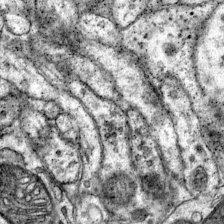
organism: Mouse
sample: Primary visual cortex